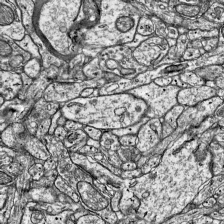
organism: Mouse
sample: Visual Cortex